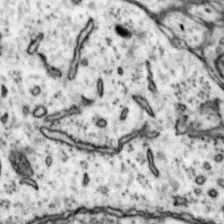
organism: Mouse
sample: Nucleus accumbens